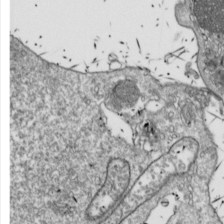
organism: Drosophila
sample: Cell division; meiosis; drosophila spermatocytes